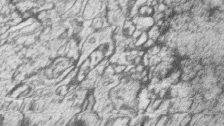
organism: Zebrafish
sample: synaptic ribbons in rod cells and cone cells